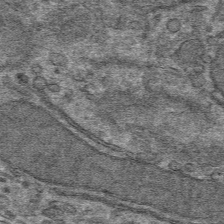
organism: Mouse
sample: Mouse hepatocytes